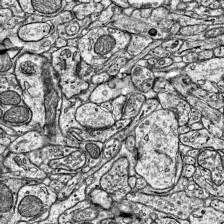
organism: Mouse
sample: Visual Cortex